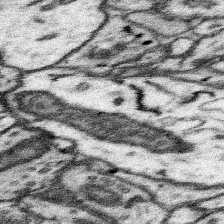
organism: Mouse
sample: Somatosensory cortex neuropil